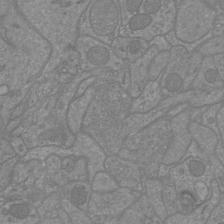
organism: Mouse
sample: Cortical neurons